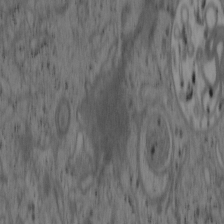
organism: Human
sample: HeLa cells